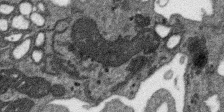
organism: Human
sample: Lung epithelial cells infected with SARS-CoV-2